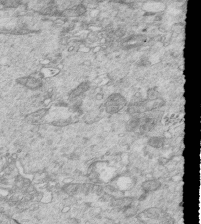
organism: Mouse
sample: Multiciliated cells